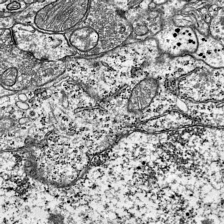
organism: Mouse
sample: Visual Cortex